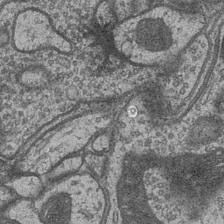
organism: Drosophila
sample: Optic medulla